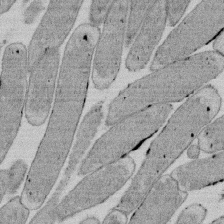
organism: E. coli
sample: Bacterial nucleoid